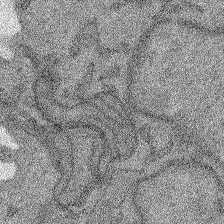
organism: Human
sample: HeLa cells